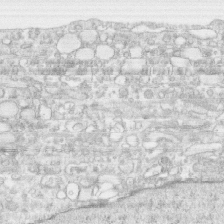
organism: Human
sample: CRL-1474